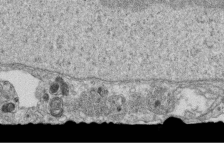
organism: Human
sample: HeLa cell HIV synapse